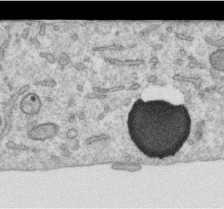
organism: Human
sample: Centriole in RPE cells